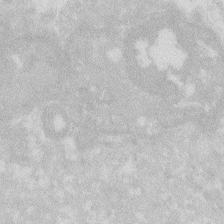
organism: Zebrafish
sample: Macrophage